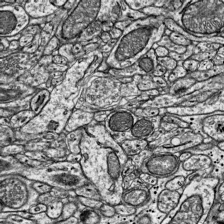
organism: Mouse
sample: Visual Cortex